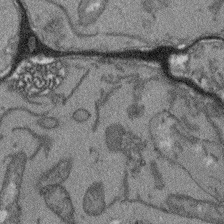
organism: Arabidopsis thaliana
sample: Root tip